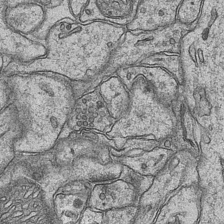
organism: Mouse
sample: CA1 Hippocampus